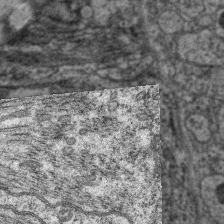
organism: C. elegans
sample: Pharynx